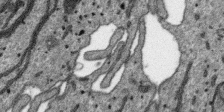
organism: Human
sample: Lung epithelial cells, uninfected (mock) control